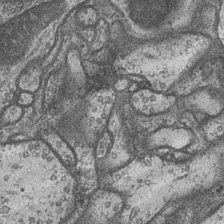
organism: Drosophila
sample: Optic medulla